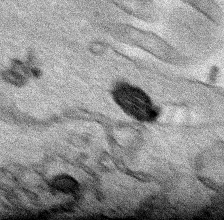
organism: Human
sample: Mitochondria in HCT116 cells